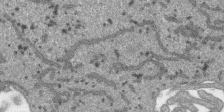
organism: Human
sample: Lung epithelial cells infected with SARS-CoV-2